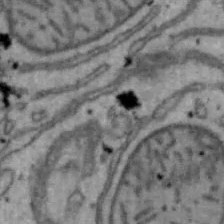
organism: Mouse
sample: Liver